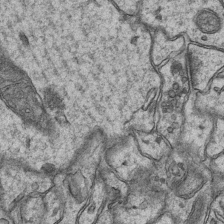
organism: Mouse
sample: CA1 Hippocampus